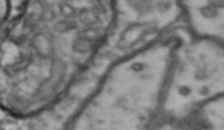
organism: Drosophila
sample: Brain